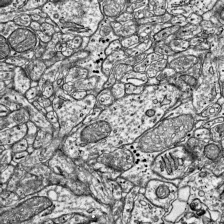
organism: Mouse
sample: Visual Cortex